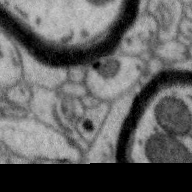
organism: Zebra finch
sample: Brain